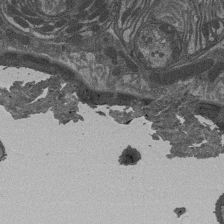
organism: Drosophila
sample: Antenna